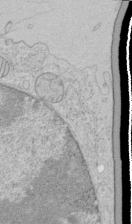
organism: Human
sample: Mitochondria in HCT116 cells